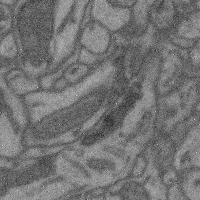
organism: Mouse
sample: Cerebral cortex